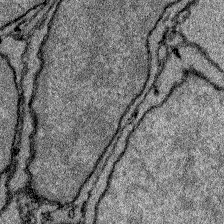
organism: Zebrafish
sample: Larval olfactory bulb